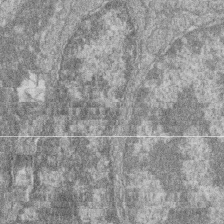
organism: Zebrafish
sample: Cilia; retinal pigment epithelium